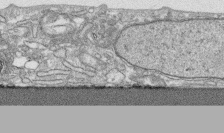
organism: Human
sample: CRL-1474